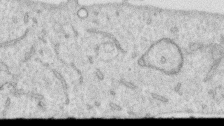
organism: Human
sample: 1205lu cells